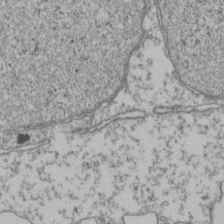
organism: Human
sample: Activated Jurkat CD4+ T cells